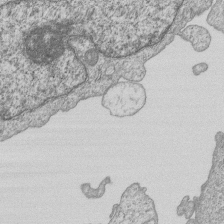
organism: Human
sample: MDA-MB-231 cells